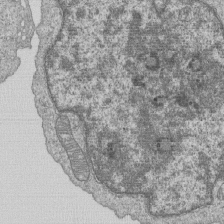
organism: Human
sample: MDA-MB-231 cells